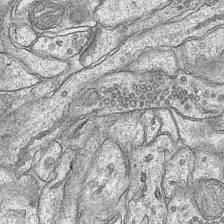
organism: Mouse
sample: CA1 Hippocampus